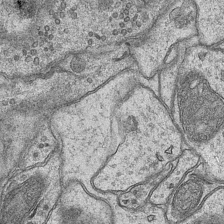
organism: Mouse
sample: CA1 Hippocampus